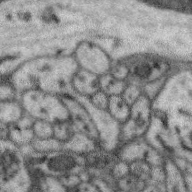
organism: Zebra finch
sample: Brain